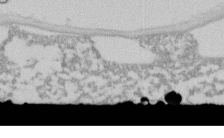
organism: C. elegans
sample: C. elegans embryo early stage